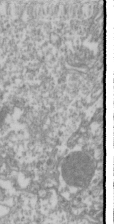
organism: Drosophila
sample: Cell division; meiosis; drosophila spermatocytes